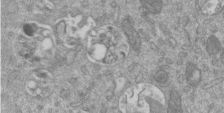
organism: Mouse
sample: ED-1 cell nuclei; centrioles